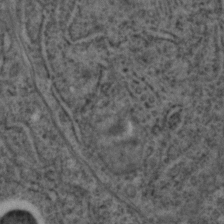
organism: C. elegans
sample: C. elegans embryo